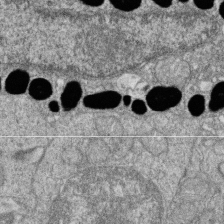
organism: Zebrafish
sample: Cilia; retinal pigment epithelium